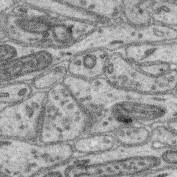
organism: Mouse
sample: Retina